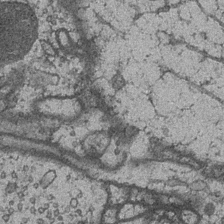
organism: Drosophila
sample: Optic medulla